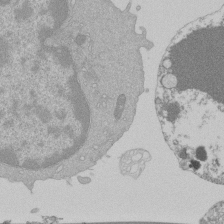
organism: Mouse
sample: Activated Pmel transgenic CD8+ T Cells